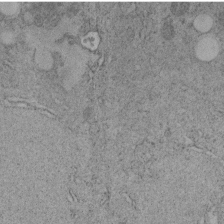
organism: C. elegans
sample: C. elegans embryo early stage